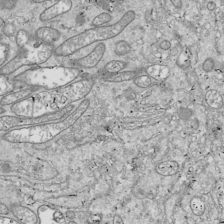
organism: Drosophila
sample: Cell division; meiosis; drosophila spermatocytes